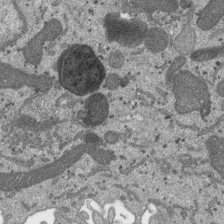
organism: Human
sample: Lung epithelial cells infected with SARS-CoV-2